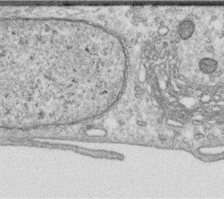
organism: Human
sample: Centriole in RPE cells